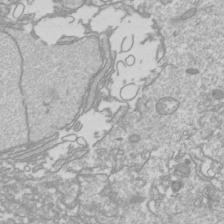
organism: Drosophila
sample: Cell division; meiosis; drosophila spermatocytes